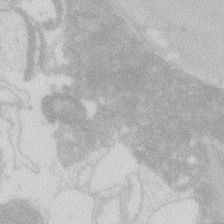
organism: Zebrafish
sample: Macrophage